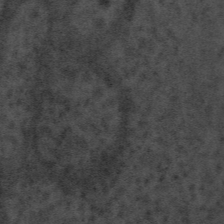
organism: Tuwongella immobilis